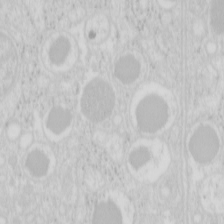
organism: Mouse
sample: Pancreas